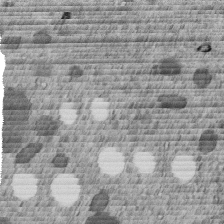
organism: C. elegans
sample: C. elegans embryo early stage